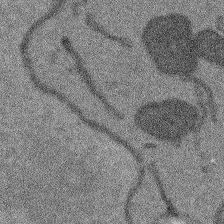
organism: Arabidopsis thaliana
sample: Root tip